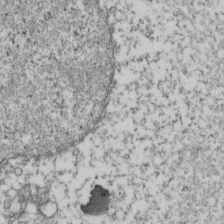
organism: Human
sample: Activated Jurkat CD4+ T cells